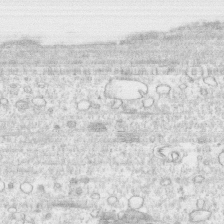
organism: Human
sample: CRL-1474